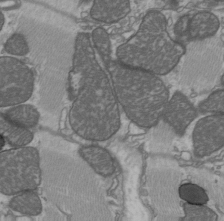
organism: C57BL Mouse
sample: Heart